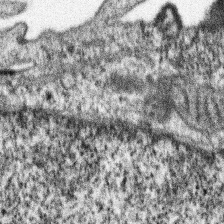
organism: Human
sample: HeLa cells